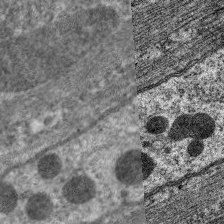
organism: C. elegans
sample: Pharynx